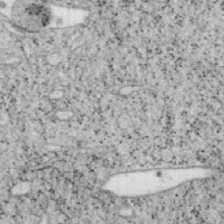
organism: Mouse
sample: OT-I killer T cells with ID8 ovarian cancer cells